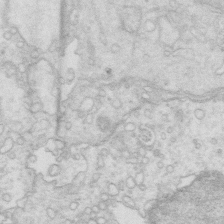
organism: Mouse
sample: Multiciliated cells